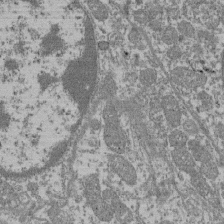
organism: Mouse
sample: Glomerulus